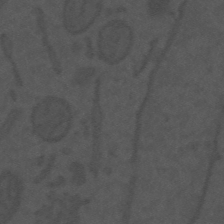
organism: Mouse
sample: Suprachiasmatic nucleus